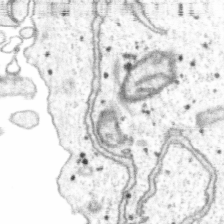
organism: Human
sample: HeLa cells